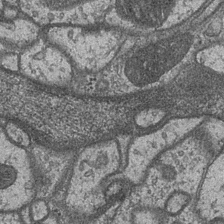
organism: Drosophila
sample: Optic medulla